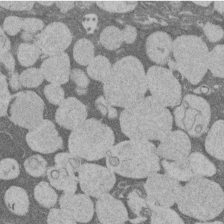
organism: Rat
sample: Salivary granule